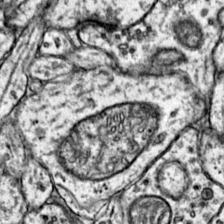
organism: Mouse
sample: Primary visual cortex